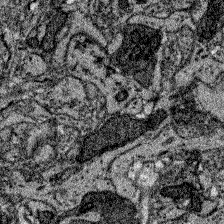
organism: Zebrafish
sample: Larval olfactory bulb